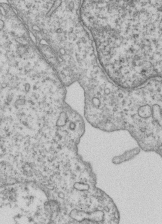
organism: Human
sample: MDA-MB-231 cells